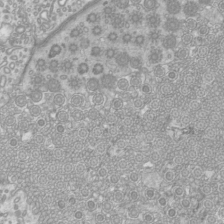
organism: Mouse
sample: Cilia; mouse epididymis